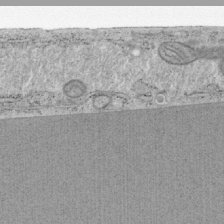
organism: Human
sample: HeLa cells